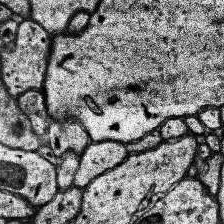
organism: Human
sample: Temporal Lobe